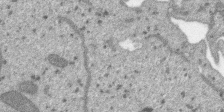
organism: Human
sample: Lung epithelial cells infected with SARS-CoV-2